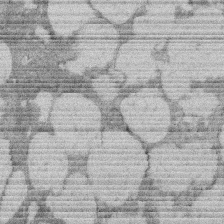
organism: Rat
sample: Salivary granule